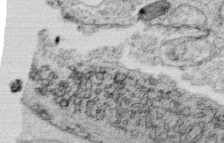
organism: C. elegans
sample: C. elegans oocyte; sperm cells